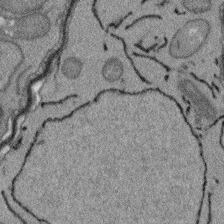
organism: Arabidopsis thaliana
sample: Root tip